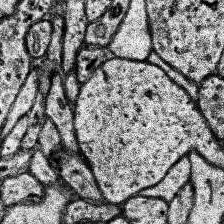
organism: Human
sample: Temporal Lobe